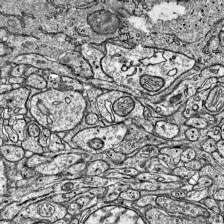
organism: Mouse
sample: Visual Cortex